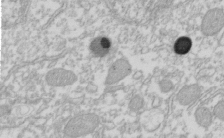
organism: Xenopus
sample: Cilia; centrioles in frog embryo cells